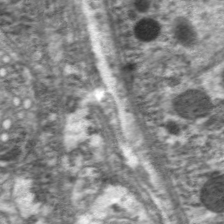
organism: C. elegans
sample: Pharynx